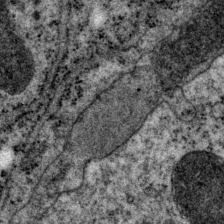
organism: P. pacificus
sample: Pharynx